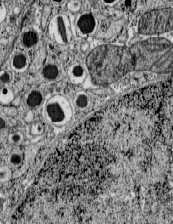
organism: C57BL Mouse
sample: Pancreatic islet